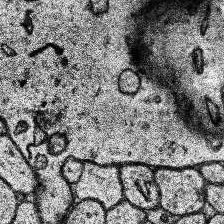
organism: Human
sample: Temporal Lobe